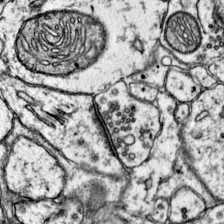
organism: Mouse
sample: Primary visual cortex